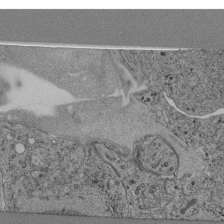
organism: C. elegans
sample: C. elegans pharynx